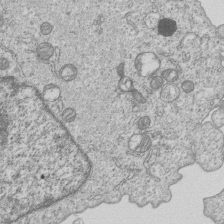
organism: Human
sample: MDA-MB-231 cells